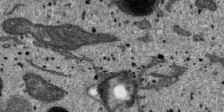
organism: Human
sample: Lung epithelial cells, uninfected (mock) control